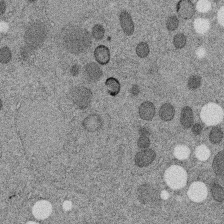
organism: C. elegans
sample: C. elegans embryo early stage